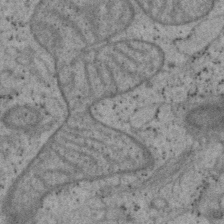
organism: Human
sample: HeLa cells